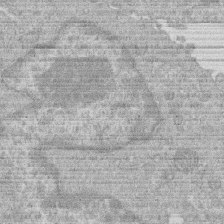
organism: Human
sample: Macrophage cells